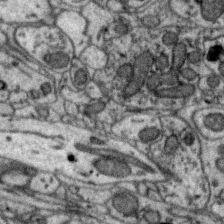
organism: Zebra finch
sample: Brain